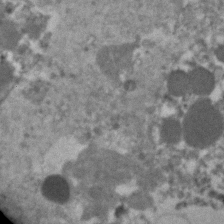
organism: Human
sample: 1205lu cells